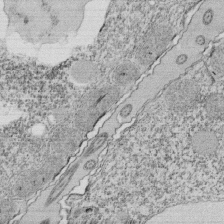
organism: Tetrahymena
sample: Cilia in tetrahymena